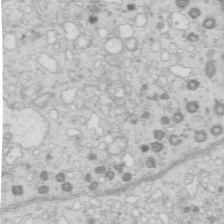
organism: Mouse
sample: Multiciliated cells